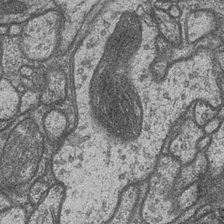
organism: Drosophila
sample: Optic medulla